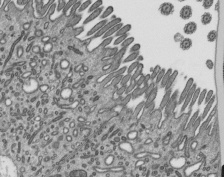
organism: Mouse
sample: Mouse epididymis efferent ductule cilia